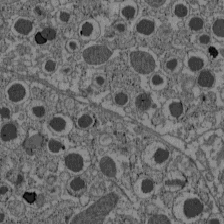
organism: C57BL Mouse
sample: Pancreatic islet